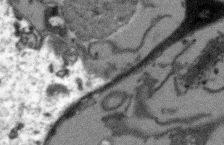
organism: Arabidopsis thaliana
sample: Root tip